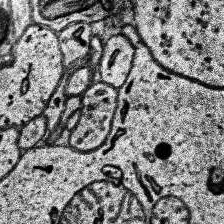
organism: Human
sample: Temporal Lobe